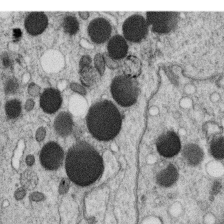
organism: C. elegans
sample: C. elegans oocyte; sperm cells